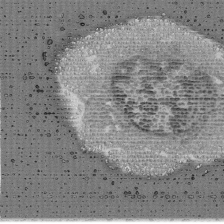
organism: Mouse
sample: Activated Pmel transgenic CD8+ T Cells